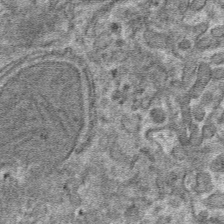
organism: Mouse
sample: Mouse hepatocytes